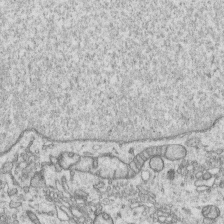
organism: Human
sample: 1205lu cells